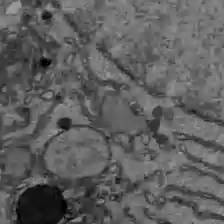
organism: C57BL Mouse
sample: Liver